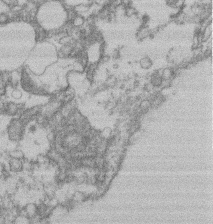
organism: Mouse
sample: T cell stromal cell synapse